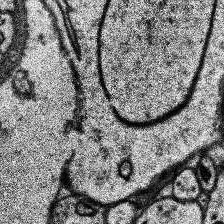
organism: Human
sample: Temporal Lobe